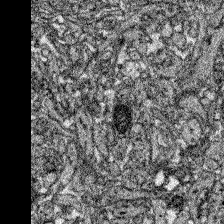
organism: Zebrafish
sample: Larval olfactory bulb